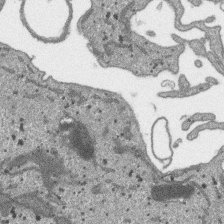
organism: Human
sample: Lung epithelial cells infected with SARS-CoV-2